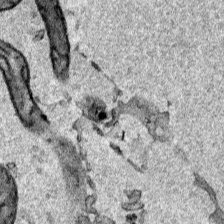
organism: Human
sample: Mitochondria in HCT116 cells